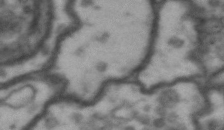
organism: Drosophila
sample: Brain